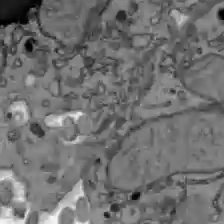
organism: C57BL Mouse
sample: Liver